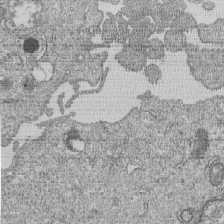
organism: Human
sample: MDA-MB-231 cells